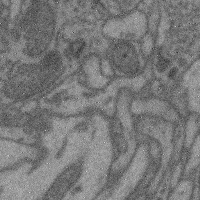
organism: Mouse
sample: Cerebral cortex